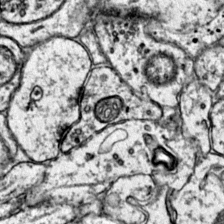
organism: Mouse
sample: Primary visual cortex